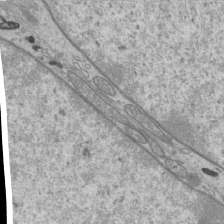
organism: Mouse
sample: Cilia; mouse epididymis